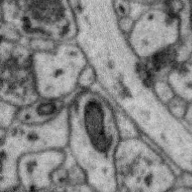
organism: Zebra finch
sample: Brain